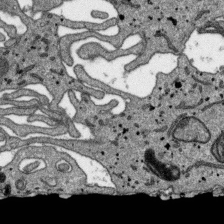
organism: Human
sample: Lung epithelial cells, uninfected (mock) control